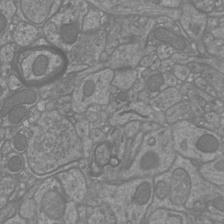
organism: Mouse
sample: Cortical neurons